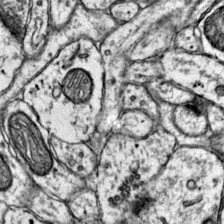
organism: Mouse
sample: Primary visual cortex